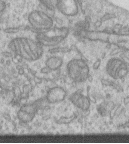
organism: Human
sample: Centriole in RPE cells